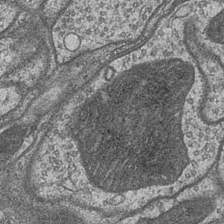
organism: Drosophila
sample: Optic medulla